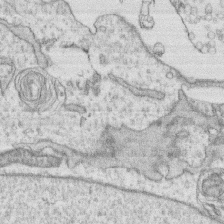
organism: Human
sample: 1205lu cells